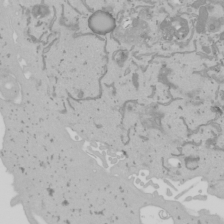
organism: Mouse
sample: Cancer cell death in ED-1 cells